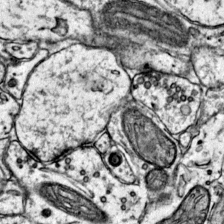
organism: Mouse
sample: Primary visual cortex